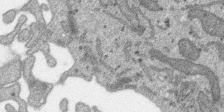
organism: Human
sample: Lung epithelial cells infected with SARS-CoV-2